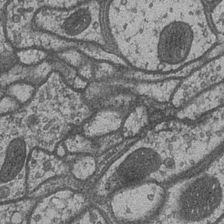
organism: Drosophila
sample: Optic medulla